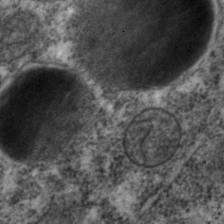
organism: C. elegans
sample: C. elegans embryo